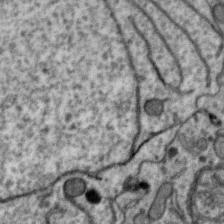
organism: Zebra finch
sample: Brain